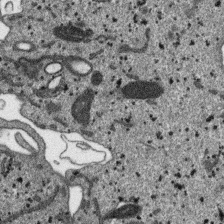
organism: Human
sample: Lung epithelial cells infected with SARS-CoV-2